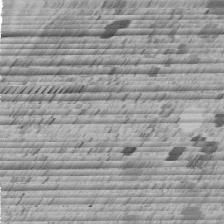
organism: C. elegans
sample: C. elegans embryo early stage